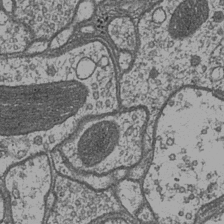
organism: Drosophila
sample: Optic medulla